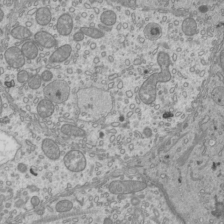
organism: Mouse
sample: Cilia; mouse epididymis